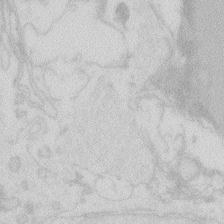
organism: Zebrafish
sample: Macrophage